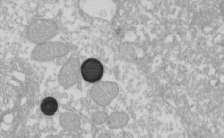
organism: Xenopus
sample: Cilia; centrioles in frog embryo cells